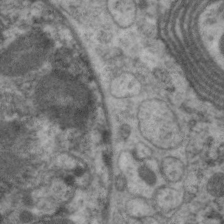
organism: C. elegans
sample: Pharynx